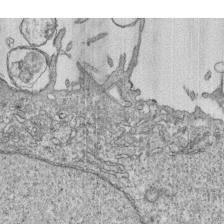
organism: Human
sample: HeLa cell HIV synapse